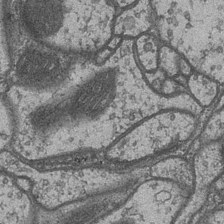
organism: Drosophila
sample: Optic medulla